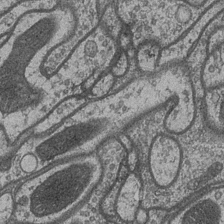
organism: Drosophila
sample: Optic medulla